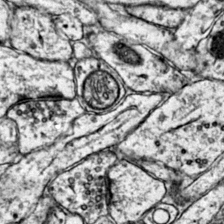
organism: Mouse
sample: Primary visual cortex